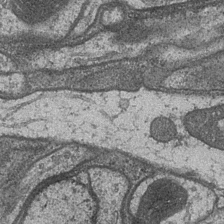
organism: Drosophila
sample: Optic medulla